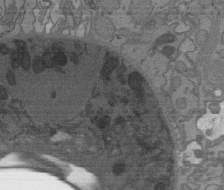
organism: C. elegans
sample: AFD neurons C. elegans